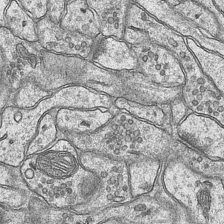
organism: Mouse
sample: CA1 Hippocampus